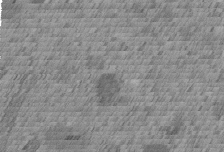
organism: C. elegans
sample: C. elegans embryo early stage